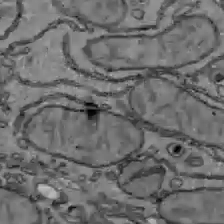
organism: C57BL Mouse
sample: Liver